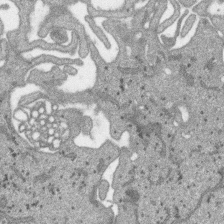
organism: Human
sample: Lung epithelial cells infected with SARS-CoV-2